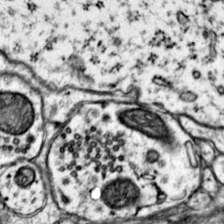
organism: Mouse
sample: Primary visual cortex